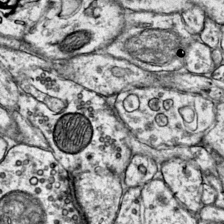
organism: Mouse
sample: Primary visual cortex